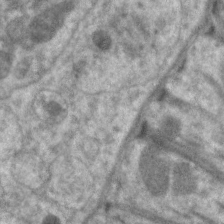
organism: C. elegans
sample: Pharynx